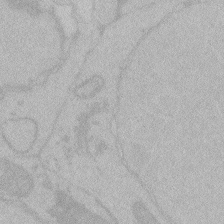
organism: Zebrafish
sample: Macrophage infected with Toxoplasma gondii